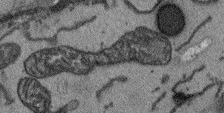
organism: Arabidopsis thaliana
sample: Root tip